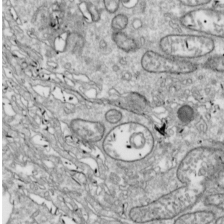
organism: Drosophila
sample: Cell division; meiosis; drosophila spermatocytes